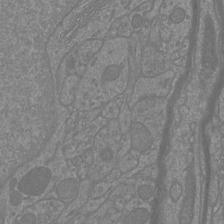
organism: Mouse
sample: Cortical neurons